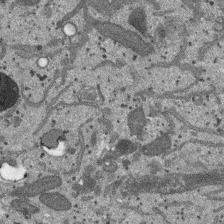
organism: Human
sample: Lung epithelial cells infected with SARS-CoV-2